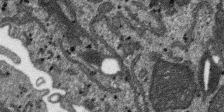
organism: Human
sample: Lung epithelial cells infected with SARS-CoV-2